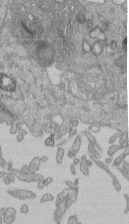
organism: Human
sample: Retinal organoid Rod and Cone cells